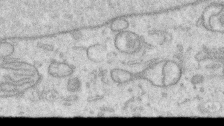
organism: Human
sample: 1205lu cells